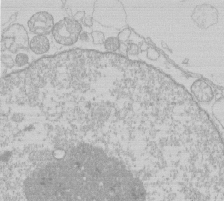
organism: Human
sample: Macrophage cells